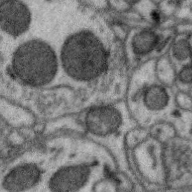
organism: Zebra finch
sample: Brain